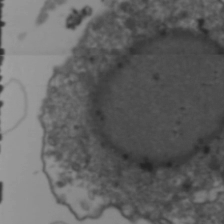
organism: Human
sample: HIV-1 Gag-iGFP